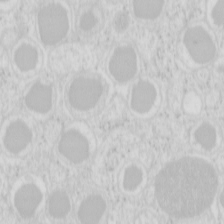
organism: Mouse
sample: Pancreas